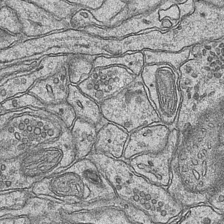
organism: Mouse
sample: CA1 Hippocampus